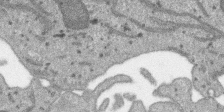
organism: Human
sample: Lung epithelial cells infected with SARS-CoV-2